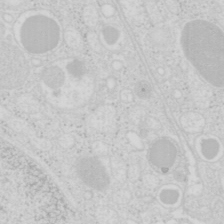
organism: Mouse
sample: Pancreas